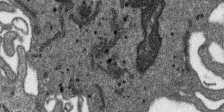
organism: Human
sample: Lung epithelial cells infected with SARS-CoV-2